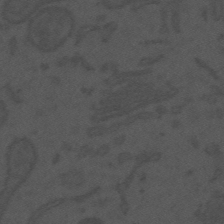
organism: Mouse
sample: Suprachiasmatic nucleus